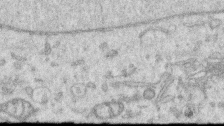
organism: Human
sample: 1205lu cells